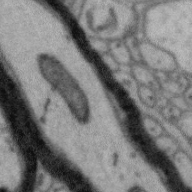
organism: Zebra finch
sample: Brain